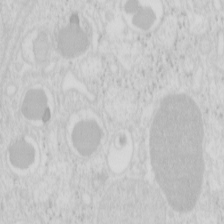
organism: Mouse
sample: Pancreas